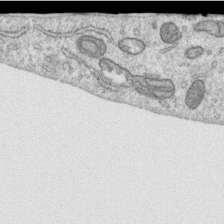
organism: Human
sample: Centriole in RPE cells